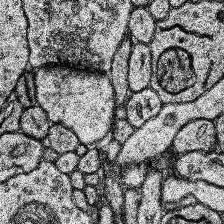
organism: Human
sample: Temporal Lobe